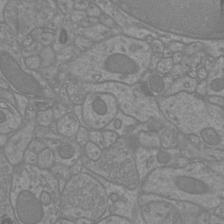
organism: Mouse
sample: Cortical neurons